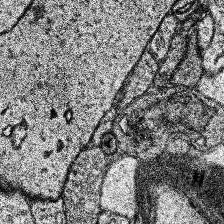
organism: Human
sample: Temporal Lobe